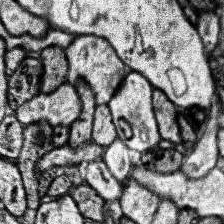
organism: Human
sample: Temporal Lobe